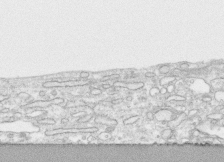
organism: Human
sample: CRL-1474